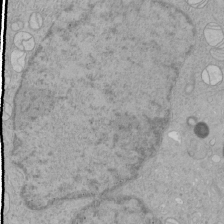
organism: Human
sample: Mitochondria in HCT116 cells